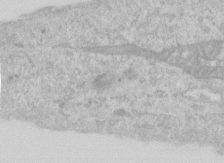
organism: Human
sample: Centriole in RPE cells